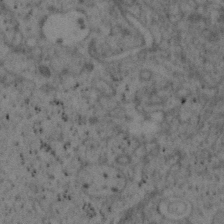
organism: Human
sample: HeLa cells